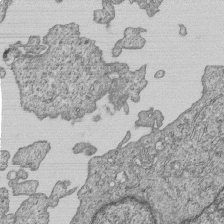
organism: Human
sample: MDA-MB-231 cells